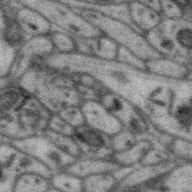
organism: Zebra finch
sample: Brain